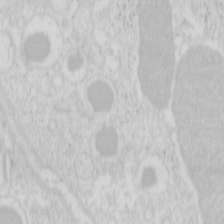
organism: Mouse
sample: Pancreas